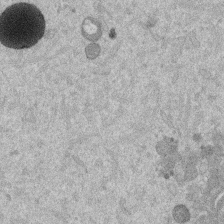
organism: Mouse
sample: Dividing mouse embryo 1 cell stage